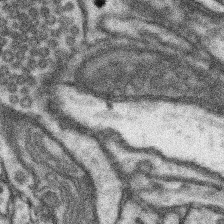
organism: Mouse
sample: Somatosensory cortex neuropil